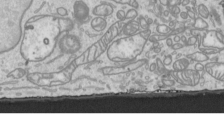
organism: Human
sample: Mitochondria in HCT116 cells